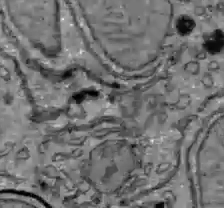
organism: C57BL Mouse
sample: Liver